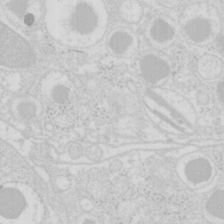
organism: Mouse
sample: Pancreas